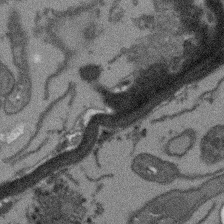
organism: Arabidopsis thaliana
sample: Root tip